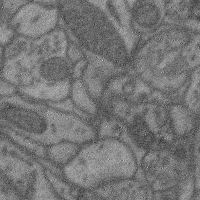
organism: Mouse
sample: Cerebral cortex